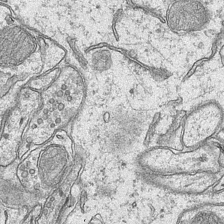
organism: Mouse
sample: CA1 Hippocampus